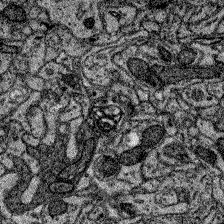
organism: Zebrafish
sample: Larval olfactory bulb